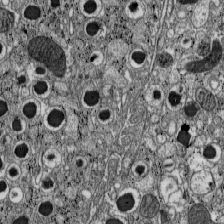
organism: C57BL Mouse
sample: Pancreatic islet